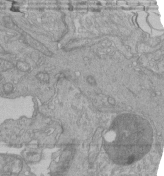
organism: Human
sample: Retinal organoid Rod and Cone cells